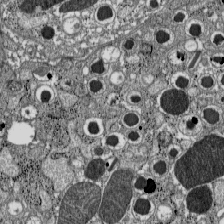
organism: C57BL Mouse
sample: Pancreatic islet